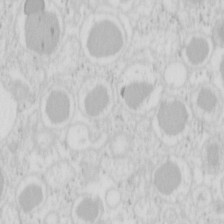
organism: Mouse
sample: Pancreas